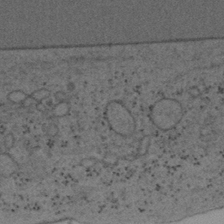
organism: Human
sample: HeLa cells